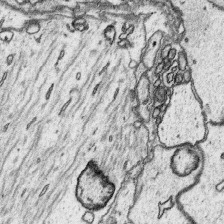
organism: Platynereis dumerilii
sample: Parapodia